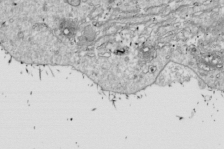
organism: Drosophila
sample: Cell division; meiosis; drosophila spermatocytes